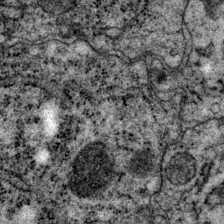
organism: P. pacificus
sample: Pharynx